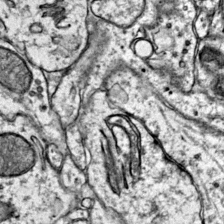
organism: Mouse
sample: Primary visual cortex